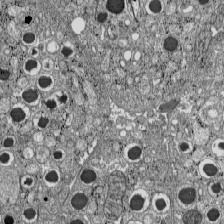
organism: C57BL Mouse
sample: Pancreatic islet